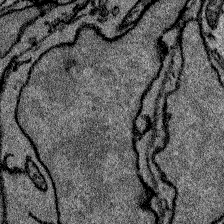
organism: Zebrafish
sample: Larval olfactory bulb